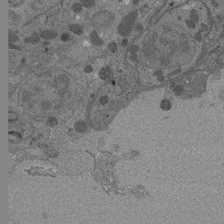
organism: Drosophila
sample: Antenna